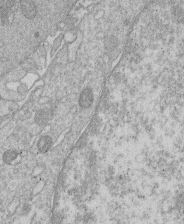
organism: Human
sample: Macrophage cells